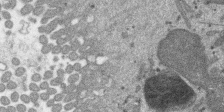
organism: Human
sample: Lung epithelial cells infected with SARS-CoV-2